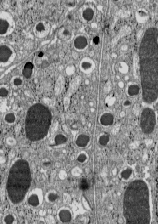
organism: C57BL Mouse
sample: Pancreatic islet